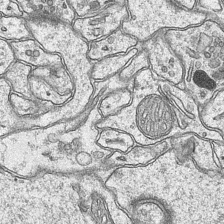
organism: Mouse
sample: CA1 Hippocampus